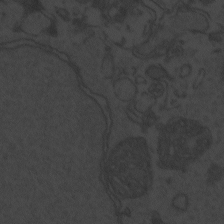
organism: Zebrafish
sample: Macrophage infected with Toxoplasma gondii